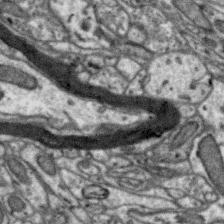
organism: Zebra finch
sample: Brain